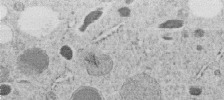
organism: C. elegans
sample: C. elegans embryo early stage